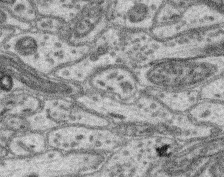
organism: Mouse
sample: Retina